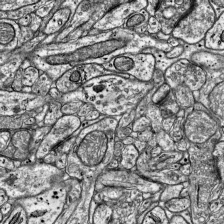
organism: Mouse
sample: Visual Cortex